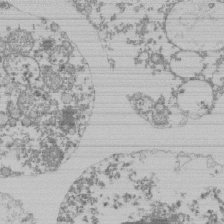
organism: Mouse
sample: Activated Pmel transgenic CD8+ T Cells